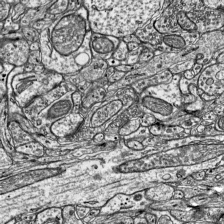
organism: Mouse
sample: Visual Cortex